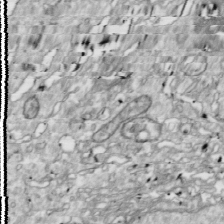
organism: Drosophila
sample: Cell division; meiosis; drosophila spermatocytes